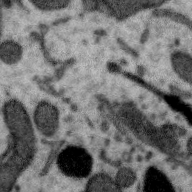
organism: Zebra finch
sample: Brain